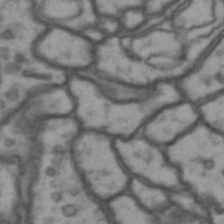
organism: Drosophila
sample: Brain